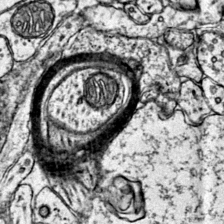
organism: Mouse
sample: Primary visual cortex